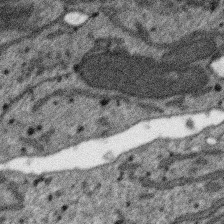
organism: Human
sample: Lung epithelial cells infected with SARS-CoV-2